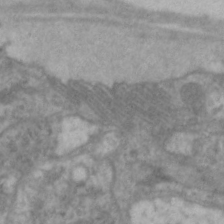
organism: C. elegans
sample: Pharynx